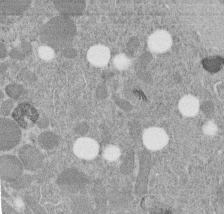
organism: C. elegans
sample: C. elegans embryo early stage